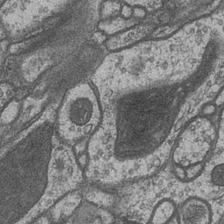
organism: Drosophila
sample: Optic medulla